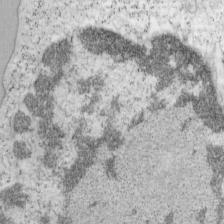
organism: Mouse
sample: OT-I killer T cells with ID8 ovarian cancer cells